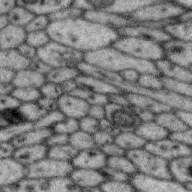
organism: Zebra finch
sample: Brain